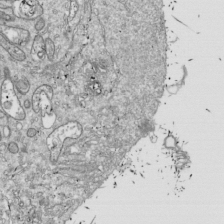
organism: Drosophila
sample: Cell division; meiosis; drosophila spermatocytes